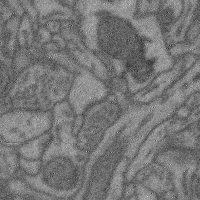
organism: Mouse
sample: Cerebral cortex